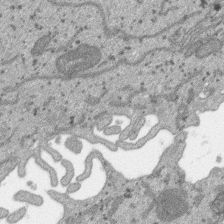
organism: Human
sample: Lung epithelial cells infected with SARS-CoV-2